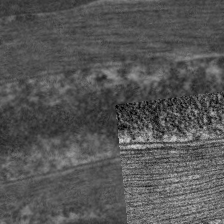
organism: C. elegans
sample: Pharynx